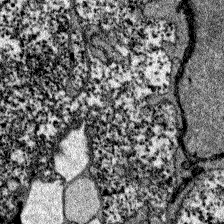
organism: Zebrafish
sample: Larval olfactory bulb